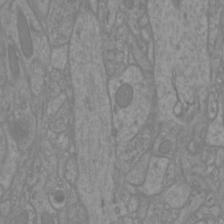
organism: Mouse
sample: Cortical neurons